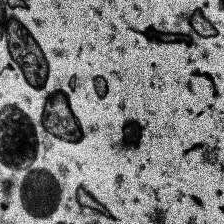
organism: Human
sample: Temporal Lobe